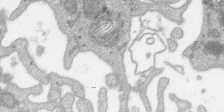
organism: Human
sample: Lung epithelial cells infected with SARS-CoV-2